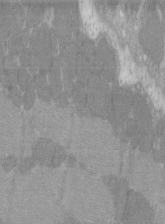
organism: C57BL Mouse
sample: Tibialis anterior muscle cell